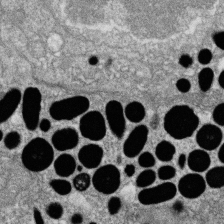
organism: Zebrafish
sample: Cilia; retinal pigment epithelium